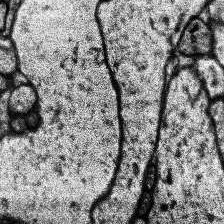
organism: Human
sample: Temporal Lobe